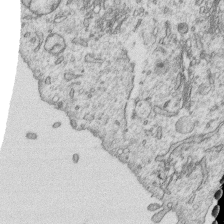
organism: Human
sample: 1205lu cells